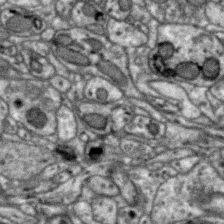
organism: Zebra finch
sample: Brain